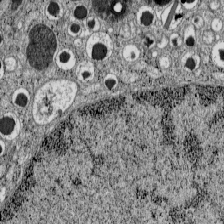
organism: C57BL Mouse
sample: Pancreatic islet